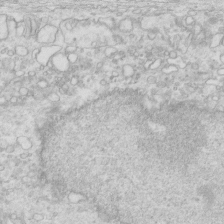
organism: Mouse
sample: Multiciliated cells